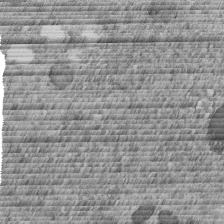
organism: C. elegans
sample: C. elegans embryo early stage